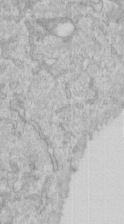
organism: Human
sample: Centriole in RPE cells